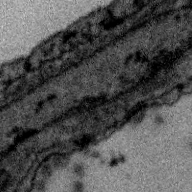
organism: Zebra finch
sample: Brain